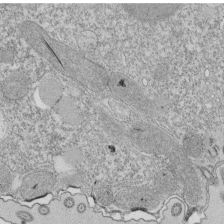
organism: Tetrahymena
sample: Cilia in tetrahymena